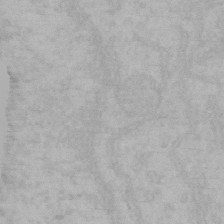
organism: Mouse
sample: Choroid plexus